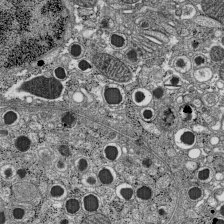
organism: C57BL Mouse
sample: Pancreatic islet